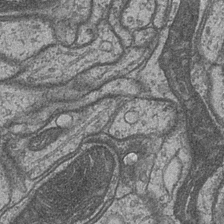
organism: Drosophila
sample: Optic medulla